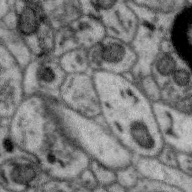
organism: Zebra finch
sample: Brain